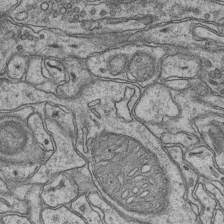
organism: Mouse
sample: CA1 Hippocampus